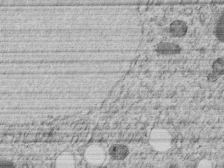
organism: C. elegans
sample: C. elegans embryo early stage